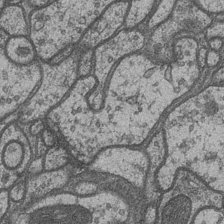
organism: Drosophila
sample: Optic medulla